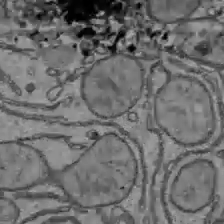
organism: C57BL Mouse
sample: Liver